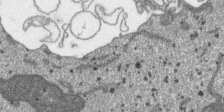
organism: Human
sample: Lung epithelial cells infected with SARS-CoV-2